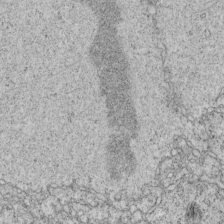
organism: C. elegans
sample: C. elegans embryo early stage